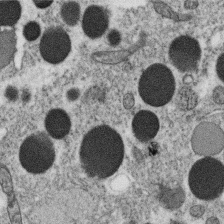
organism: C. elegans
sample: C. elegans oocyte; sperm cells